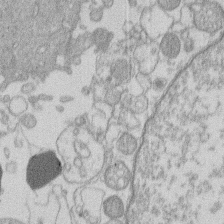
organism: Human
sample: Macrophage cells